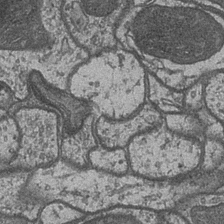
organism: Drosophila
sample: Optic medulla